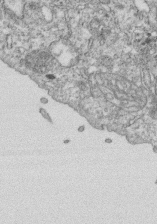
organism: Human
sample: HeLa cell HIV synapse